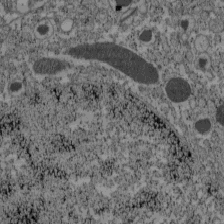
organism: C57BL Mouse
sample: Pancreatic islet